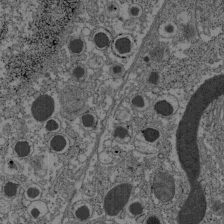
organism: C57BL Mouse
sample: Pancreatic islet